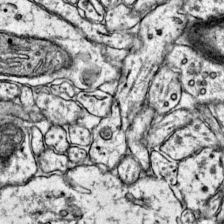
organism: Mouse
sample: Primary visual cortex